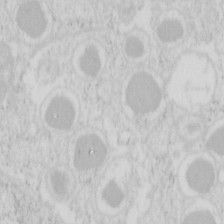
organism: Mouse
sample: Pancreas